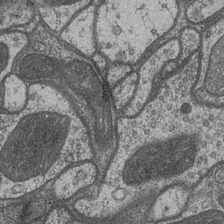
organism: Drosophila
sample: Optic medulla